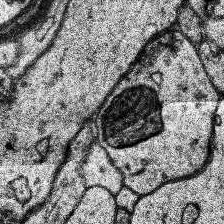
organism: Human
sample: Temporal Lobe